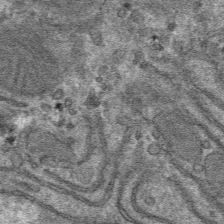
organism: Mouse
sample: Mouse hepatocytes